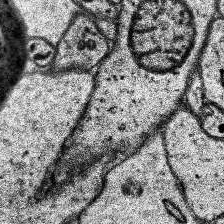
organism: Human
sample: Temporal Lobe